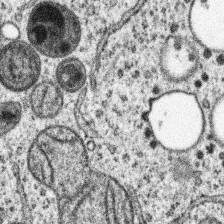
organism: Human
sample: HeLa cells